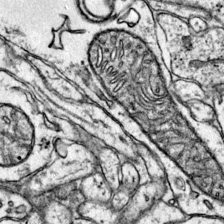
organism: Mouse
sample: Primary visual cortex